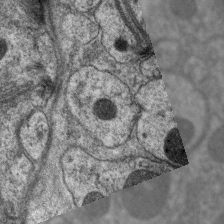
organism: C. elegans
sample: Pharynx